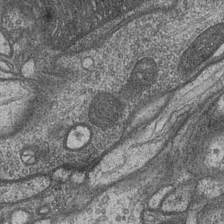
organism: Drosophila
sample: Optic medulla